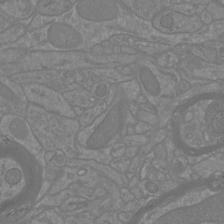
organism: Mouse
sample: Cortical neurons